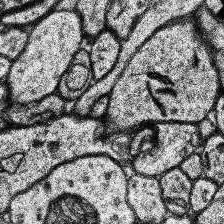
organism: Human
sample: Temporal Lobe